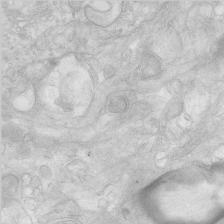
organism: Human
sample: Neocortex